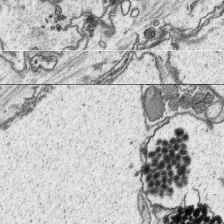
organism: Platynereis dumerilii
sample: Parapodia